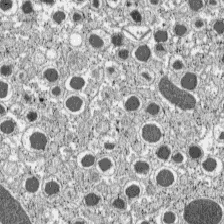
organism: C57BL Mouse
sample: Pancreatic islet